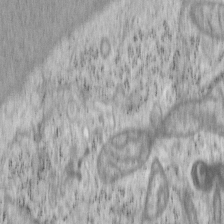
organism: Human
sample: HeLa cells